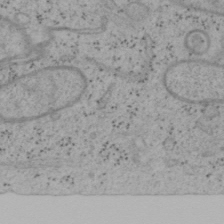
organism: Human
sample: HeLa cells